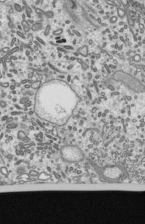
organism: Mouse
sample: Mouse epididymis efferent ductule cilia